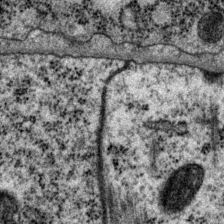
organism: P. pacificus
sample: Pharynx